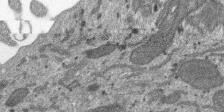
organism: Human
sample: Lung epithelial cells infected with SARS-CoV-2